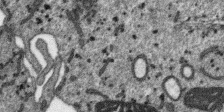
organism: Human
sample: Lung epithelial cells infected with SARS-CoV-2